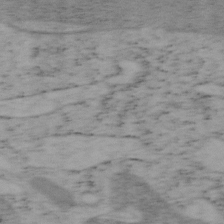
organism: Mouse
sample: OT-I killer T cells with ID8 ovarian cancer cells